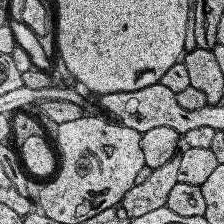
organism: Human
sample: Temporal Lobe